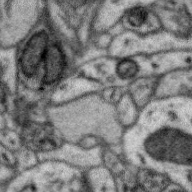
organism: Zebra finch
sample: Brain